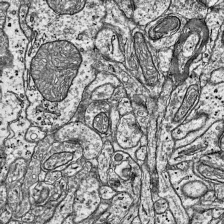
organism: Mouse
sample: Visual Cortex